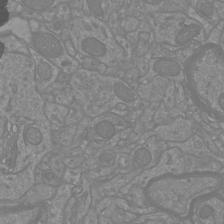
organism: Mouse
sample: Cortical neurons